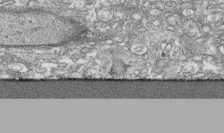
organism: Human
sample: CRL-1474